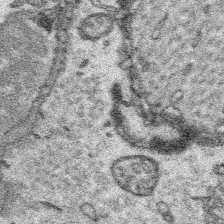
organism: Platynereis dumerilii